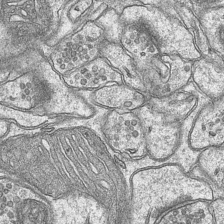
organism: Mouse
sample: CA1 Hippocampus